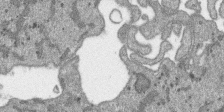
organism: Human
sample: Lung epithelial cells infected with SARS-CoV-2